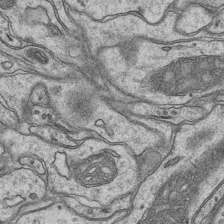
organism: Mouse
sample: CA1 Hippocampus